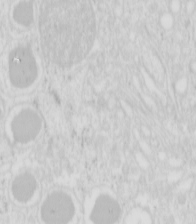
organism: Mouse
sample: Pancreas